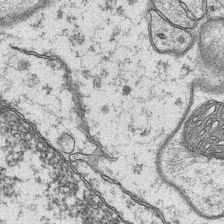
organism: Mouse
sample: CA1 Hippocampus